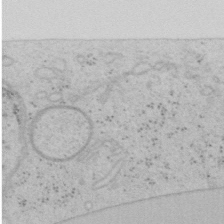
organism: Human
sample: HeLa cells